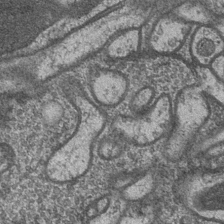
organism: Drosophila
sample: Optic medulla